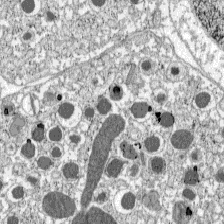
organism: C57BL Mouse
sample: Pancreatic islet